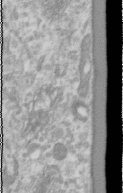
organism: Human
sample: Cilia; basal body in RPE cells